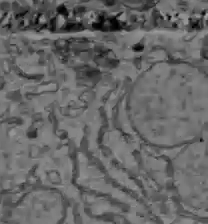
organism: C57BL Mouse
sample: Liver